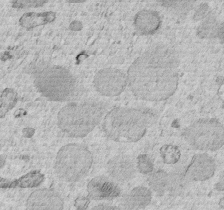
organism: C. elegans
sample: C. elegans embryo early stage